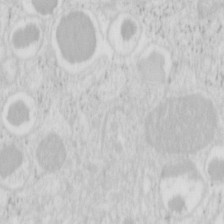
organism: Mouse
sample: Pancreas